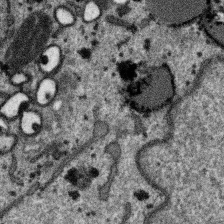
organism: Human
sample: Lung epithelial cells infected with SARS-CoV-2